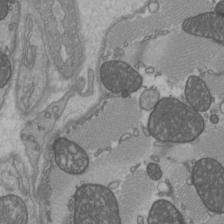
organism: C57BL Mouse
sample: Heart